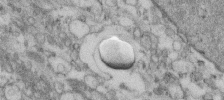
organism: Human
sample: Centriole in fibroblast cells